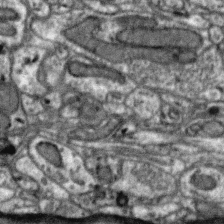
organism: Zebra finch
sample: Brain